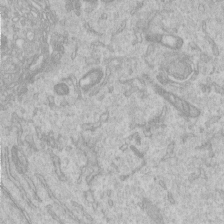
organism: Human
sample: Centriole in RPE cells